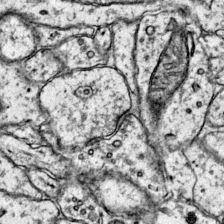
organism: Mouse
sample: Primary visual cortex